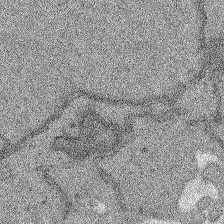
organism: Human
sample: HeLa cells